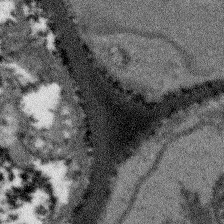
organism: Arabidopsis thaliana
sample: Root tip